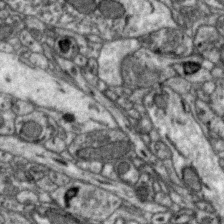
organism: Zebra finch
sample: Brain